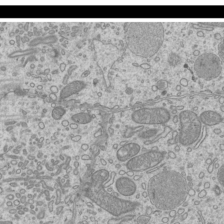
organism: Mouse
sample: Cilia; mouse epididymis